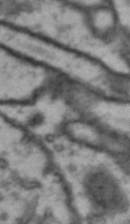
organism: Drosophila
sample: Brain